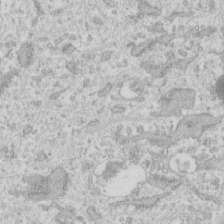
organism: Human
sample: Fibroblast cells